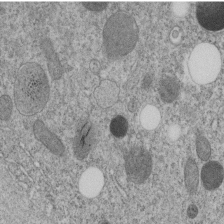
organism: C. elegans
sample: C. elegans embryo early stage